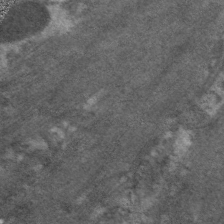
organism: C. elegans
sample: Pharynx